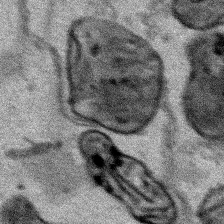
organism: Human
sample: Mitochondria in HCT116 cells